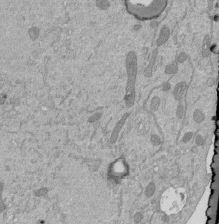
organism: Mouse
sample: ED-1 cell nuclei; centrioles